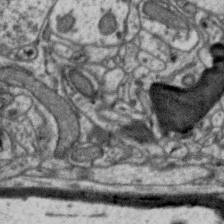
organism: Zebra finch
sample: Brain